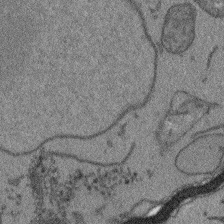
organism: Arabidopsis thaliana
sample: Root tip